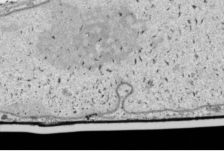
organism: Human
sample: Mitochondria in HCT116 cells